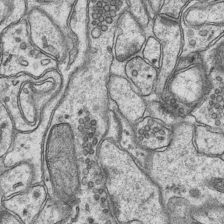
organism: Mouse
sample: CA1 Hippocampus